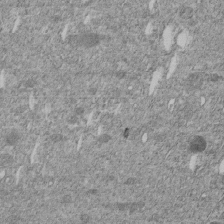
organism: C. elegans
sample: C. elegans embryo early stage